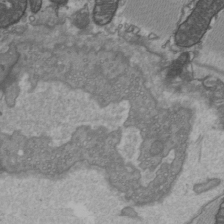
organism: C57BL Mouse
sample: Heart